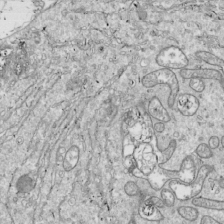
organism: Drosophila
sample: Cell division; meiosis; drosophila spermatocytes